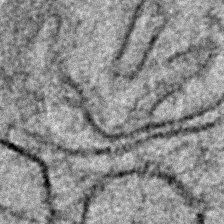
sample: Trachea